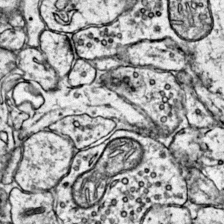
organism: Mouse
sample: Primary visual cortex